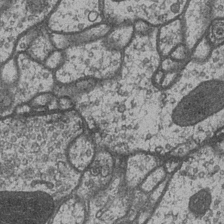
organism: Drosophila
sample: Optic medulla